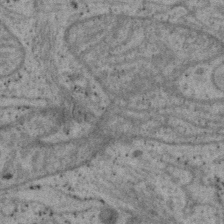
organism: Human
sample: HeLa cells